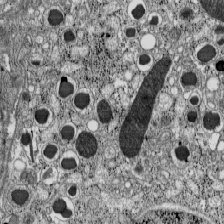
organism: C57BL Mouse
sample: Pancreatic islet